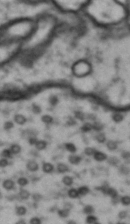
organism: Drosophila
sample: Brain